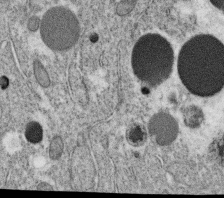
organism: C. elegans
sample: C. elegans oocyte; sperm cells